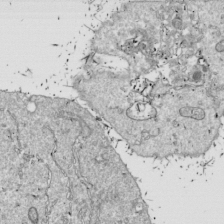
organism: Drosophila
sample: Cell division; meiosis; drosophila spermatocytes